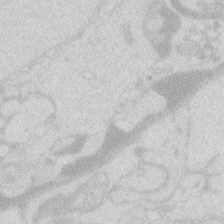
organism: Zebrafish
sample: Macrophage